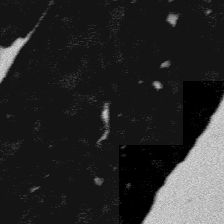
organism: Platynereis dumerilii